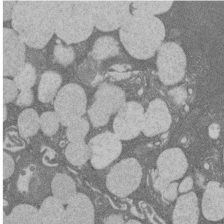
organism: Rat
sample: Salivary granule